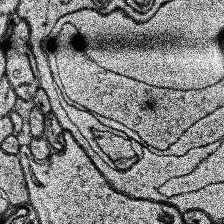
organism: Human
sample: Temporal Lobe